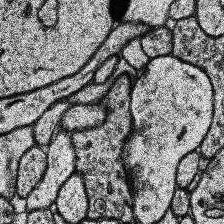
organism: Human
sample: Temporal Lobe